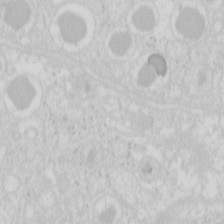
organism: Mouse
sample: Pancreas